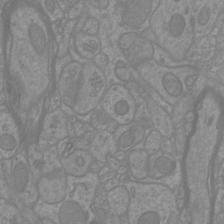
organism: Mouse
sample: Cortical neurons